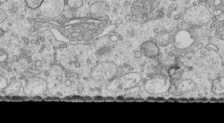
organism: Human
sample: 1205lu cells